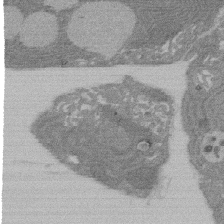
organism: Rat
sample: Salivary granule